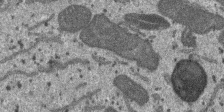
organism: Human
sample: Lung epithelial cells infected with SARS-CoV-2